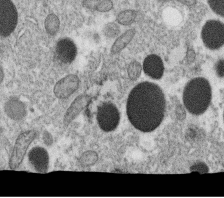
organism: C. elegans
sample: C. elegans oocyte; sperm cells